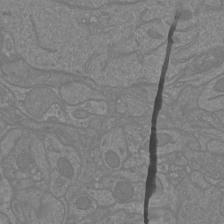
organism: Mouse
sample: Cortical neurons